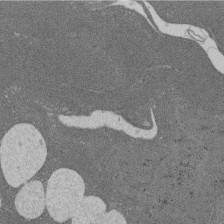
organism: Rat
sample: Salivary granule